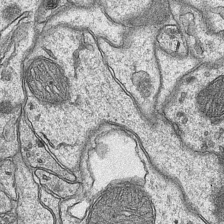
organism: Mouse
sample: CA1 Hippocampus